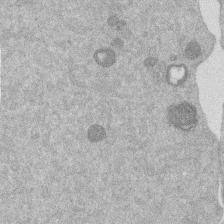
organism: Mouse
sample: Dividing mouse embryo 1 cell stage